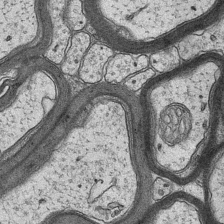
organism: Mouse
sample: CA1 Hippocampus